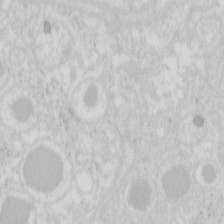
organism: Mouse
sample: Pancreas